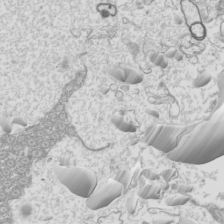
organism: Mouse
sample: Cilia; mouse epididymis